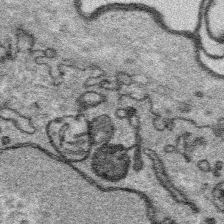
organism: Platynereis dumerilii